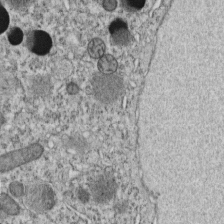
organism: C. elegans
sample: C. elegans embryo early stage